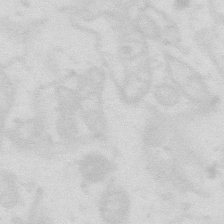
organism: Human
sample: HeLa cells